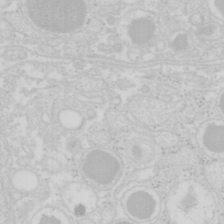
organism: Mouse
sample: Pancreas